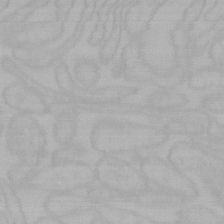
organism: Mouse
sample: Choroid plexus